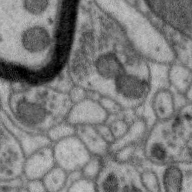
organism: Zebra finch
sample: Brain